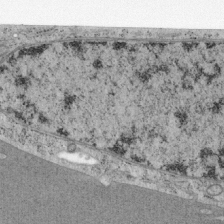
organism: Human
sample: HeLa cells